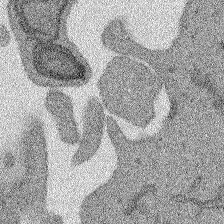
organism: Human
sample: HeLa cells